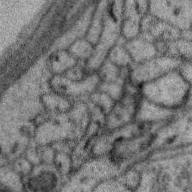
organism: Zebra finch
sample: Brain